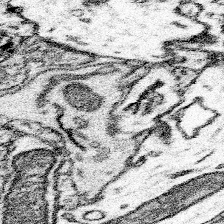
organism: Mouse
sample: Somatosensory cortex neuropil